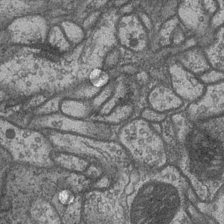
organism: Drosophila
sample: Optic medulla